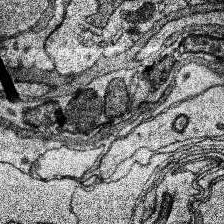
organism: Human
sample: Temporal Lobe